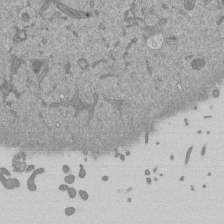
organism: Mouse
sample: ED-1 cell nuclei; centrioles